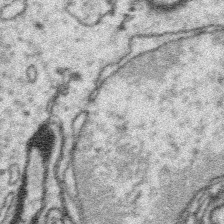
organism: Platynereis dumerilii